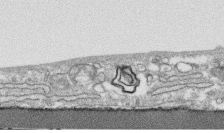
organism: Human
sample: CRL-1474